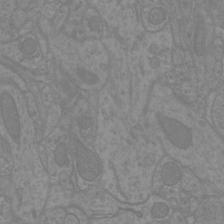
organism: Mouse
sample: Cortical neurons